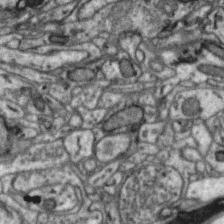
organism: Zebra finch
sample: Brain